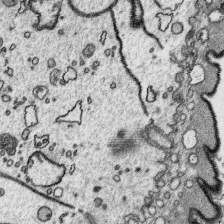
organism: Platynereis dumerilii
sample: Parapodia